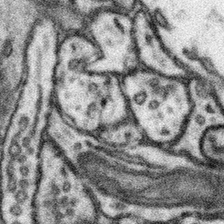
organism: Mouse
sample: Somatosensory cortex neuropil